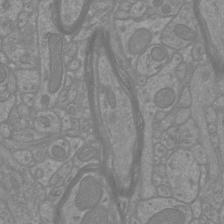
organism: Mouse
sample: Cortical neurons